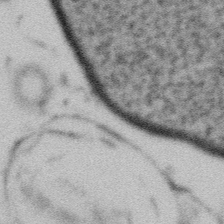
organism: Gemmata obscuriglobus